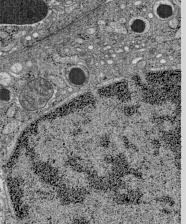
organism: C57BL Mouse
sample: Pancreatic islet